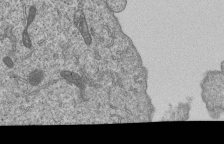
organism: Human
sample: MDA-MB-231 cells